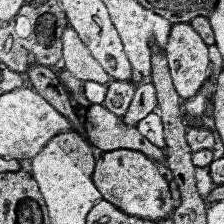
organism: Human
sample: Temporal Lobe